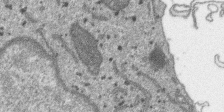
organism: Human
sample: Lung epithelial cells infected with SARS-CoV-2